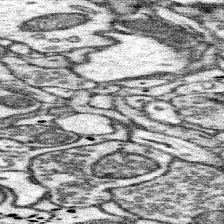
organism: Mouse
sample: Somatosensory cortex neuropil